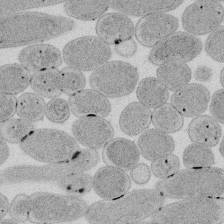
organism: E. coli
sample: Bacterial nucleoid